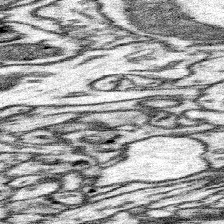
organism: Mouse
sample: Somatosensory cortex neuropil